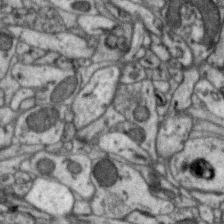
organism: Zebra finch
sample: Brain